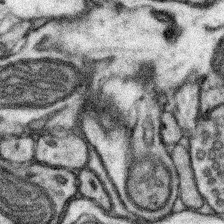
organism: Mouse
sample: Somatosensory cortex neuropil